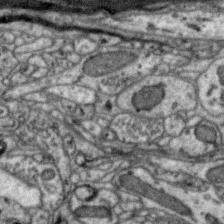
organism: Zebra finch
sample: Brain